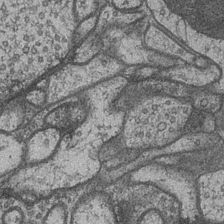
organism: Drosophila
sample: Optic medulla